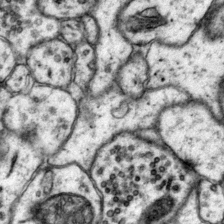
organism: Mouse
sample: Primary visual cortex